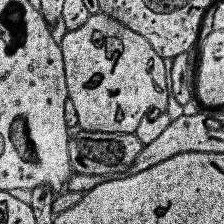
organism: Human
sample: Temporal Lobe